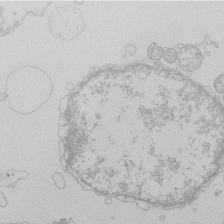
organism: Human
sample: Macrophage cells